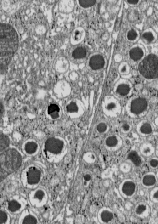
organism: C57BL Mouse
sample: Pancreatic islet